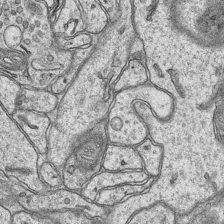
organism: Mouse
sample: CA1 Hippocampus